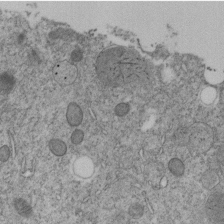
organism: C. elegans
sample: C. elegans embryo early stage